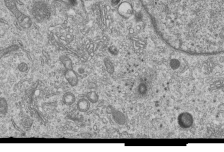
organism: Human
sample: MDA-MB-231 cells